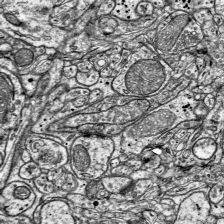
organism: Mouse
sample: Visual Cortex